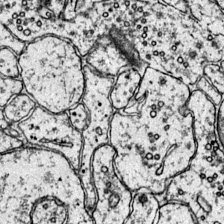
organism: Mouse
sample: Primary visual cortex